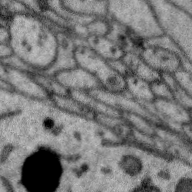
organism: Zebra finch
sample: Brain